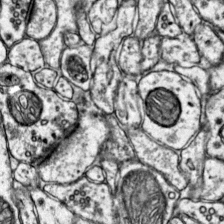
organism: Mouse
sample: Primary visual cortex